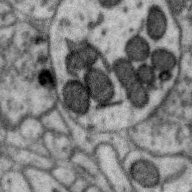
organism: Zebra finch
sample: Brain